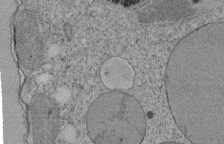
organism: Tetrahymena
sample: Cilia in tetrahymena